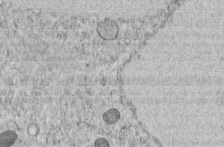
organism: C. elegans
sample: C. elegans embryo early stage